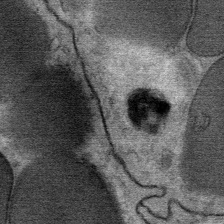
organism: Mouse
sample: Mouse Salivary gland